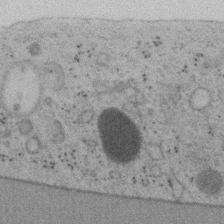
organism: Human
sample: HeLa cells